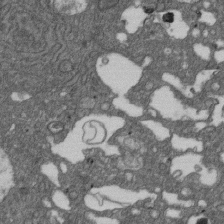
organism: Drosophila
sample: Nephrocyte